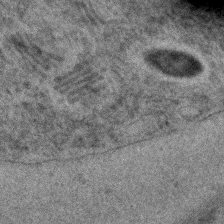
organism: C. elegans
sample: C. elegans embryo